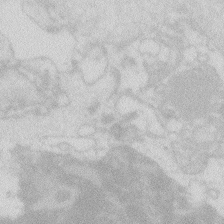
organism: Zebrafish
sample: Macrophage